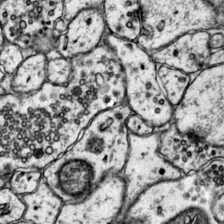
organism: Mouse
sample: Primary visual cortex